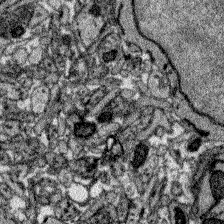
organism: Zebrafish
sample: Larval olfactory bulb